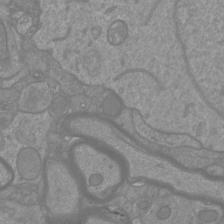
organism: Mouse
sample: Cortical neurons